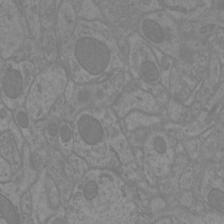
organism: Mouse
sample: Cortical neurons